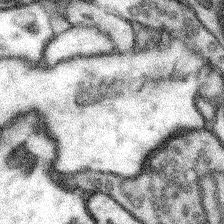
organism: Mouse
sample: Somatosensory cortex neuropil